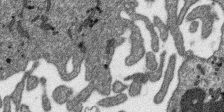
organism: Human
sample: Lung epithelial cells infected with SARS-CoV-2